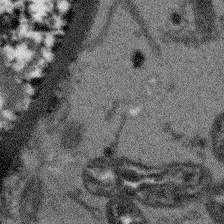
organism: Arabidopsis thaliana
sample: Root tip